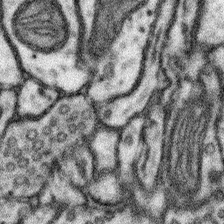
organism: Mouse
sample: Somatosensory cortex neuropil